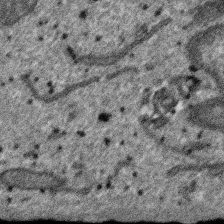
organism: Human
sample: Lung epithelial cells infected with SARS-CoV-2